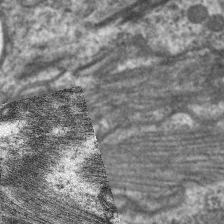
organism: C. elegans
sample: Pharynx